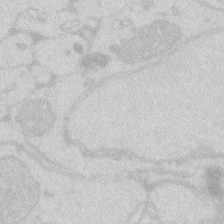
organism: Zebrafish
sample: Macrophage